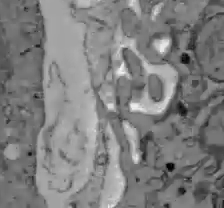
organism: C57BL Mouse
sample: Liver